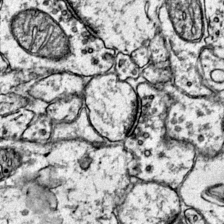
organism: Mouse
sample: Primary visual cortex